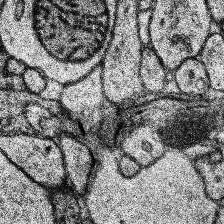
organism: Human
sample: Temporal Lobe